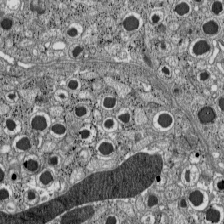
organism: C57BL Mouse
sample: Pancreatic islet